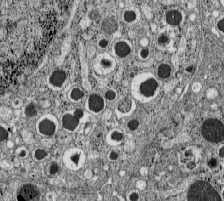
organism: C57BL Mouse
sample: Pancreatic islet